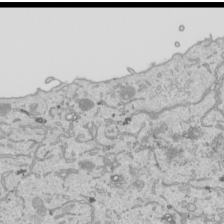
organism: Human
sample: Mitochondria in HCT116 cells